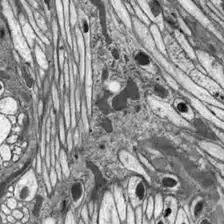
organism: Drosophila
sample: Optic lobe